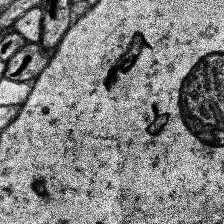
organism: Human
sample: Temporal Lobe